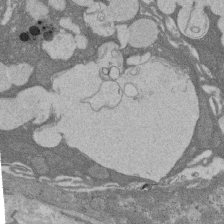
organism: Rat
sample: Salivary granule